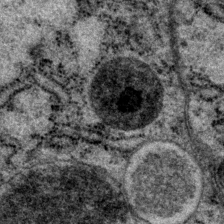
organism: P. pacificus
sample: Pharynx